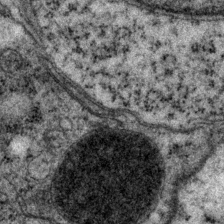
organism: P. pacificus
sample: Pharynx